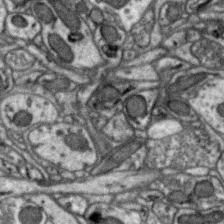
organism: Zebra finch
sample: Brain